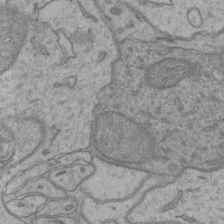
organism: Mouse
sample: CA1 Hippocampus